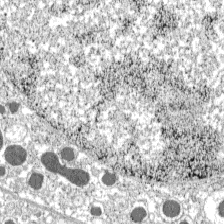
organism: C57BL Mouse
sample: Pancreatic islet